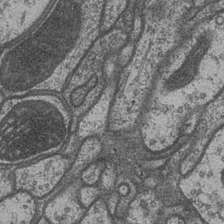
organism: Drosophila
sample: Optic medulla